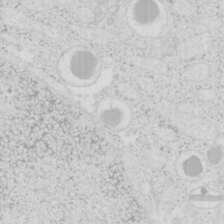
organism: Mouse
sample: Pancreas